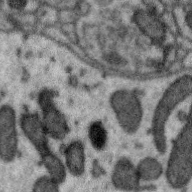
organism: Zebra finch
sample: Brain